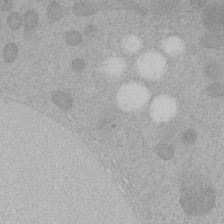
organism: C. elegans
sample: C. elegans embryo early stage